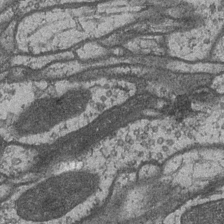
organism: Drosophila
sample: Optic medulla